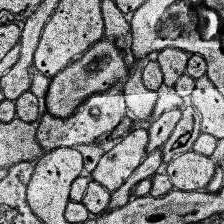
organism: Human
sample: Temporal Lobe